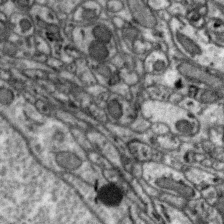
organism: Zebra finch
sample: Brain